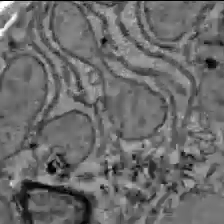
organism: C57BL Mouse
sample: Liver